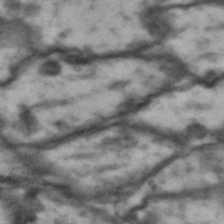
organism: Drosophila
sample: Brain